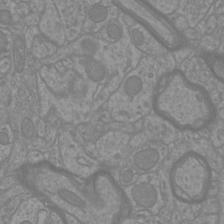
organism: Mouse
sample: Cortical neurons